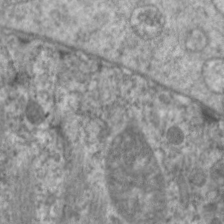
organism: C. elegans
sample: Pharynx